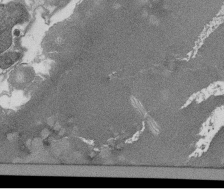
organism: Tetrahymena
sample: Cilia in tetrahymena